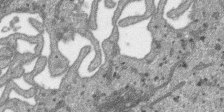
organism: Human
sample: Lung epithelial cells infected with SARS-CoV-2